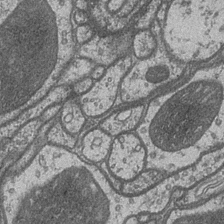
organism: Drosophila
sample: Optic medulla